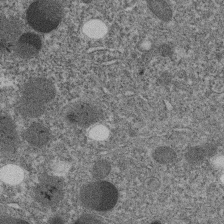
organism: C. elegans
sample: C. elegans embryo early stage